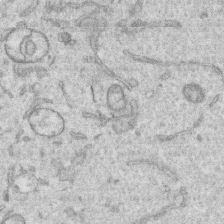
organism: Human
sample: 1205lu cells